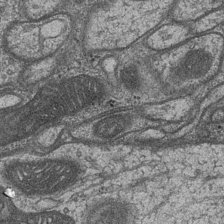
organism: Drosophila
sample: Optic medulla